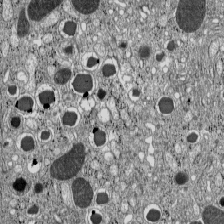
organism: C57BL Mouse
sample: Pancreatic islet